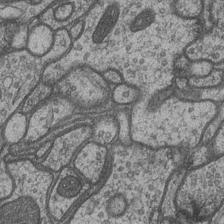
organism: Drosophila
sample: Optic medulla